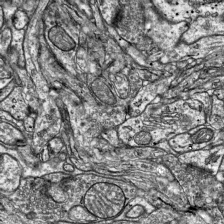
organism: Mouse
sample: Visual Cortex